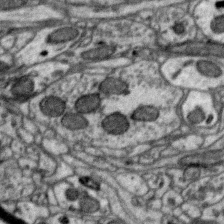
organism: Zebra finch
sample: Brain